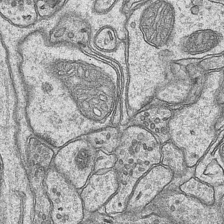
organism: Mouse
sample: CA1 Hippocampus